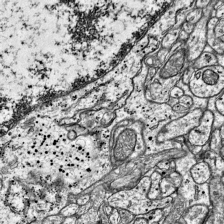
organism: Mouse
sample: Visual Cortex